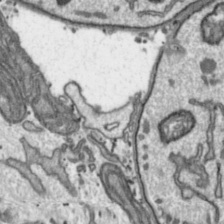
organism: Toxoplasma gondii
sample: Parasites in a vacuole inside a host cell